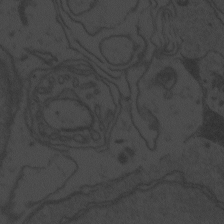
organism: Zebrafish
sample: Macrophage infected with Toxoplasma gondii